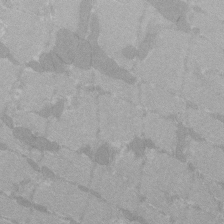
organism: C57BL Mouse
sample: Tibialis anterior muscle cell